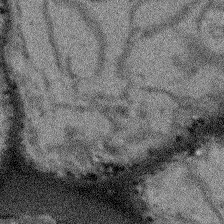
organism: Arabidopsis thaliana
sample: Root tip